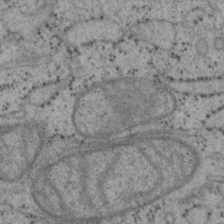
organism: Human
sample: HeLa cells